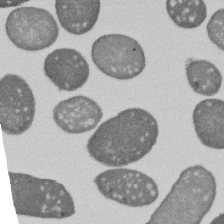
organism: E. coli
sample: Bacterial nucleoid